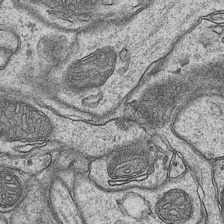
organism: Mouse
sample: CA1 Hippocampus